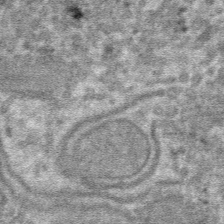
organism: Mouse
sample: Mouse hepatocytes